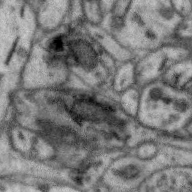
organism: Zebra finch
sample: Brain